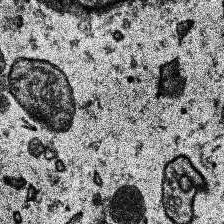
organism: Human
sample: Temporal Lobe